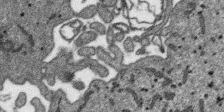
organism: Human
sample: Lung epithelial cells infected with SARS-CoV-2